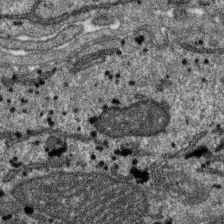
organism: Human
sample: Lung epithelial cells infected with SARS-CoV-2